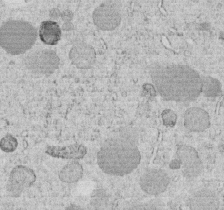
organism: C. elegans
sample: C. elegans embryo early stage